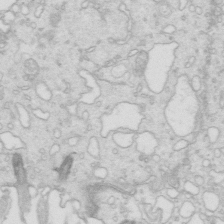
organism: Mouse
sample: Multiciliated cells